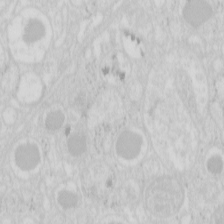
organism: Mouse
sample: Pancreas